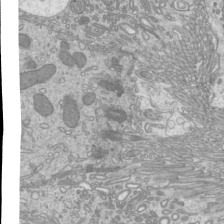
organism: Mouse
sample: Cilia; mouse epididymis